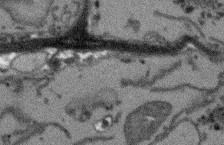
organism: Arabidopsis thaliana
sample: Root tip